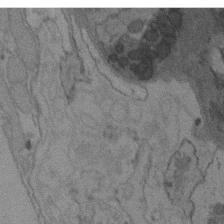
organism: C. elegans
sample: AFD neurons C. elegans